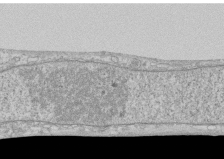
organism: Human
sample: CRL-1474